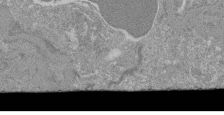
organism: Mouse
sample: Glomerulus